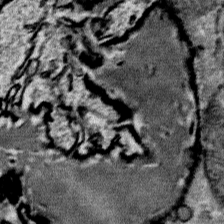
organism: Mouse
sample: Mouse Salivary gland